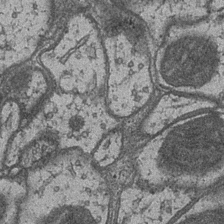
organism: Drosophila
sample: Optic medulla